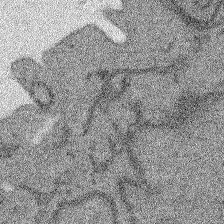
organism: Human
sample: HeLa cells